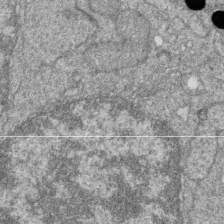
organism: Zebrafish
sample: Cilia; retinal pigment epithelium